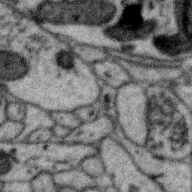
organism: Zebra finch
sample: Brain